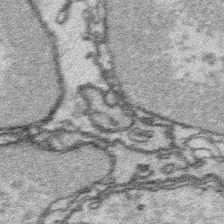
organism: Platynereis dumerilii